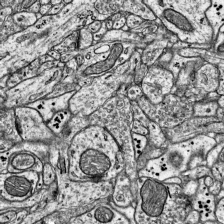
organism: Mouse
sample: Visual Cortex